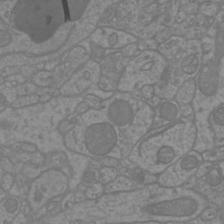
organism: Mouse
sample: Cortical neurons